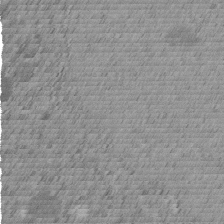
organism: C. elegans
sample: C. elegans embryo early stage